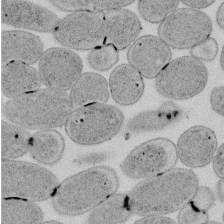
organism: E. coli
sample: Bacterial nucleoid